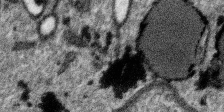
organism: Human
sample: Lung epithelial cells infected with SARS-CoV-2